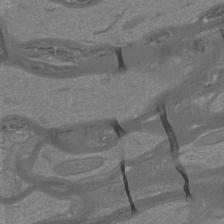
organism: Mouse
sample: Cortical neurons